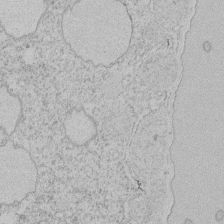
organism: Tetrahymena